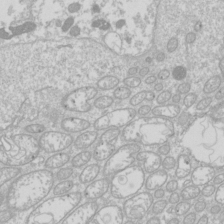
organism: Drosophila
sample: Cell division; meiosis; drosophila spermatocytes